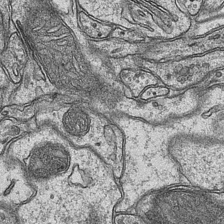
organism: Mouse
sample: CA1 Hippocampus